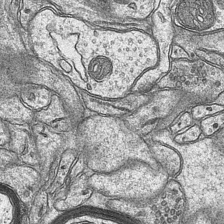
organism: Mouse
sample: CA1 Hippocampus